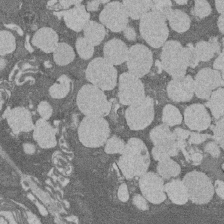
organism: Rat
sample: Salivary granule